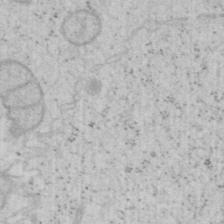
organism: Human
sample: HeLa cells